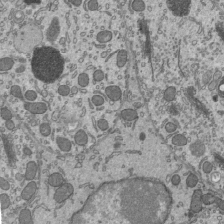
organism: Mouse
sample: Mouse epididymis efferent ductule cilia